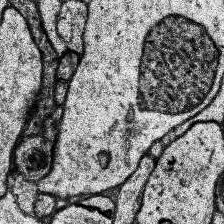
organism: Human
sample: Temporal Lobe